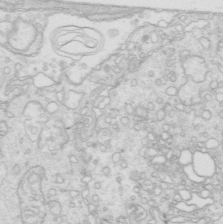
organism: Mouse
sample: Multiciliated cells